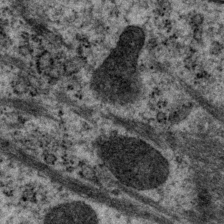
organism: P. pacificus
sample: Pharynx